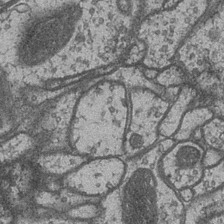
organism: Drosophila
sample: Optic medulla